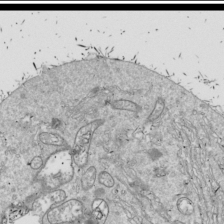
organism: Drosophila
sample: Cell division; meiosis; drosophila spermatocytes